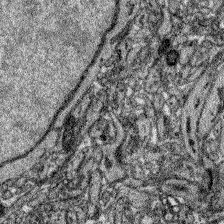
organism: Zebrafish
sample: Larval olfactory bulb